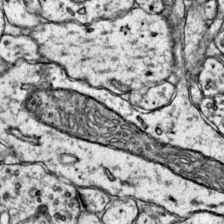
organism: Mouse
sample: Primary visual cortex